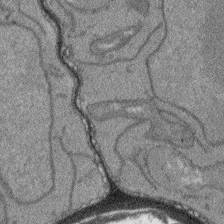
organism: Arabidopsis thaliana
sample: Root tip